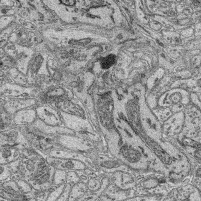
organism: Mouse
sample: Retina